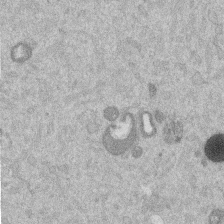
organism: Mouse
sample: Dividing mouse embryo 1 cell stage